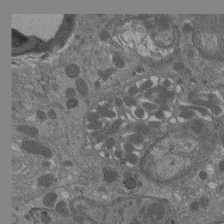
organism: Drosophila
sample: Antenna